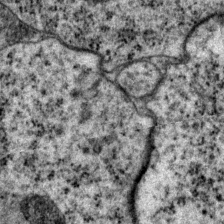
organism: P. pacificus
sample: Pharynx